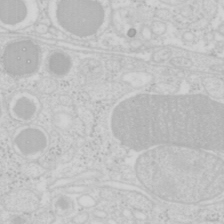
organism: Mouse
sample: Pancreas